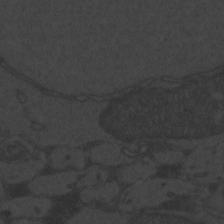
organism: Zebrafish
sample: Macrophage infected with Toxoplasma gondii